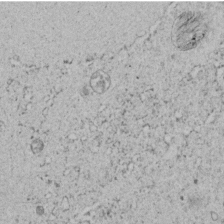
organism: C. elegans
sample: C. elegans embryo early stage